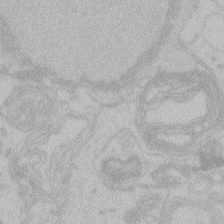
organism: Zebrafish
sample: Macrophage infected with Toxoplasma gondii